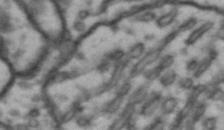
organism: Drosophila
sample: Brain